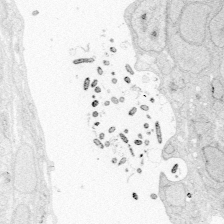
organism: Zebrafish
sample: Whole-Brain